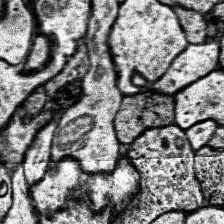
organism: Human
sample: Temporal Lobe